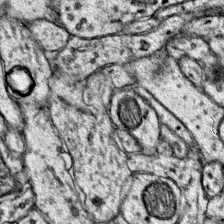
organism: Mouse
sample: Primary visual cortex